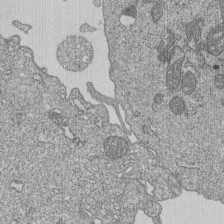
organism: Human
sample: MDA-MB-231 cells